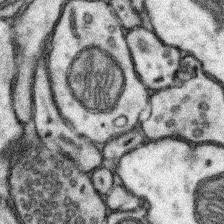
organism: Mouse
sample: Somatosensory cortex neuropil